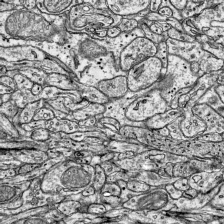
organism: Mouse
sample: Visual Cortex